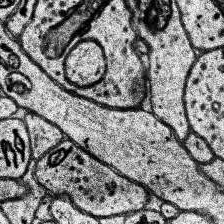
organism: Human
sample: Temporal Lobe